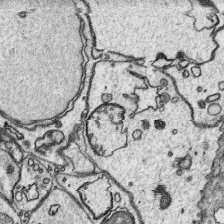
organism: Platynereis dumerilii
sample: Parapodia